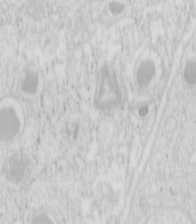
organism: Mouse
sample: Pancreas